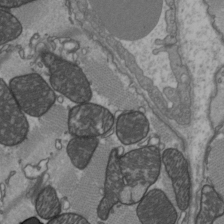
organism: C57BL Mouse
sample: Heart